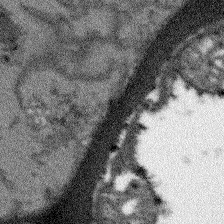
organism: Arabidopsis thaliana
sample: Root tip